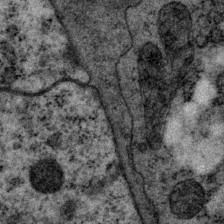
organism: P. pacificus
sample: Pharynx